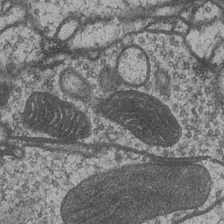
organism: Drosophila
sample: Optic medulla